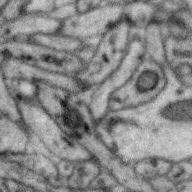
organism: Zebra finch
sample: Brain